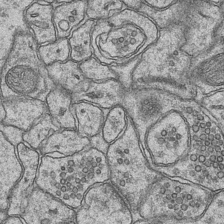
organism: Mouse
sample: CA1 Hippocampus